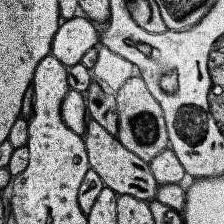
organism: Human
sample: Temporal Lobe